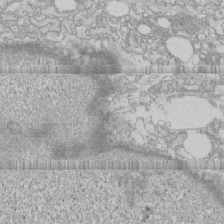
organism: Human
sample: CRL-1474